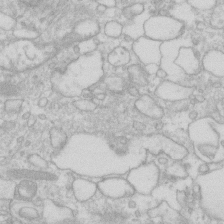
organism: Human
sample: Fibroblast cells